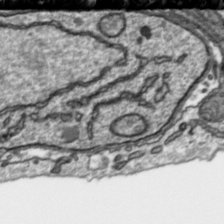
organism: Toxoplasma gondii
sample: Parasites in a vacuole inside a host cell